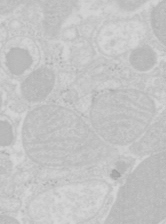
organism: Mouse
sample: Pancreas